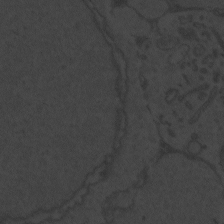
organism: Zebrafish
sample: Macrophage infected with Toxoplasma gondii